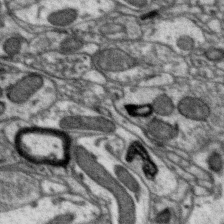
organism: Zebra finch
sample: Brain